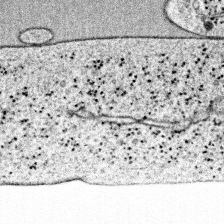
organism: Human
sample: HeLa cells